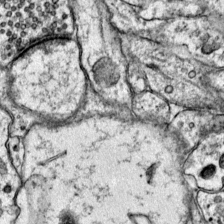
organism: Mouse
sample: Primary visual cortex